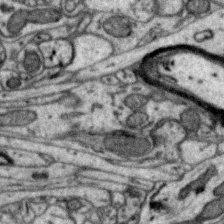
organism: Zebra finch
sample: Brain